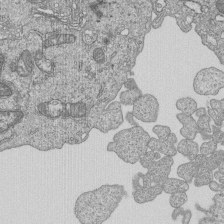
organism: Human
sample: MDA-MB-231 cells